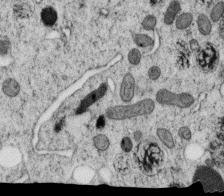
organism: C. elegans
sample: C. elegans oocyte; sperm cells